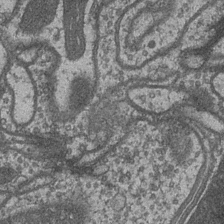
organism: Drosophila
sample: Optic medulla